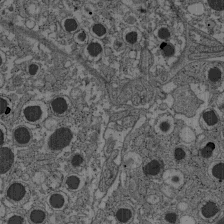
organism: C57BL Mouse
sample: Pancreatic islet